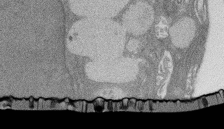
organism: Rat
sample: Salivary granule